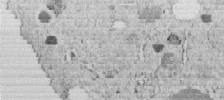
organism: C. elegans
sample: C. elegans embryo early stage